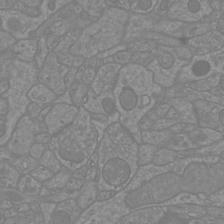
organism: Mouse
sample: Cortical neurons